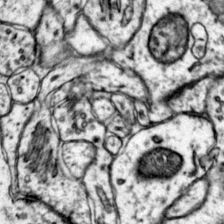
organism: Mouse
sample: Primary visual cortex